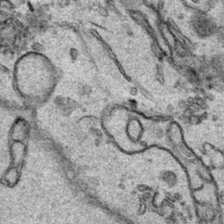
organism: Human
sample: Mitochondria in HCT116 cells